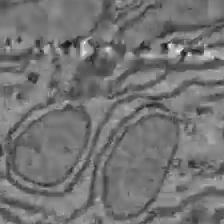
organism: C57BL Mouse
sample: Liver